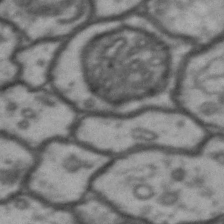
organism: Drosophila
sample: Brain